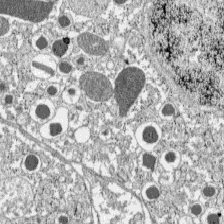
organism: C57BL Mouse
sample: Pancreatic islet